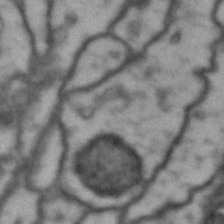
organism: Drosophila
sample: Brain